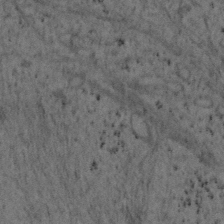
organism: Human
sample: HeLa cells